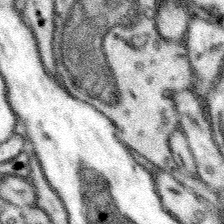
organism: Mouse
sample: Somatosensory cortex neuropil